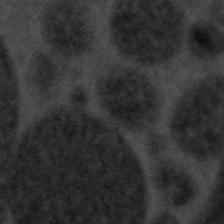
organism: Tuwongella immobilis